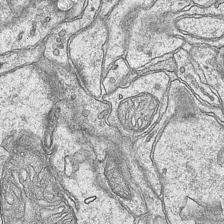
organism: Mouse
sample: CA1 Hippocampus